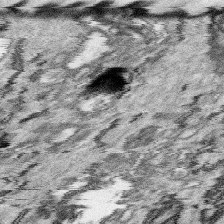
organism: Human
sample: HeLa cells